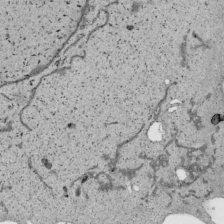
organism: Human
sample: Mitochondria in HCT116 cells